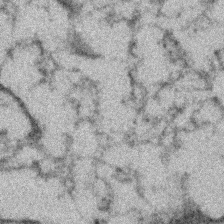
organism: Human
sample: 1205lu cells